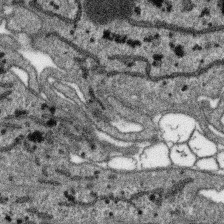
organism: Human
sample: Lung epithelial cells infected with SARS-CoV-2